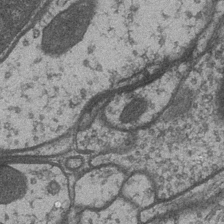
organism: Drosophila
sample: Optic medulla